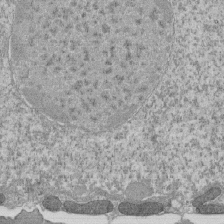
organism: Tetrahymena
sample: Cilia in tetrahymena